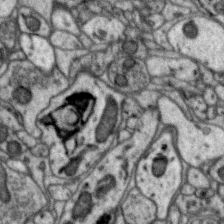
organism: Zebra finch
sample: Brain